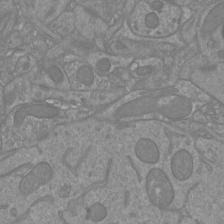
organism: Mouse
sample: Cortical neurons